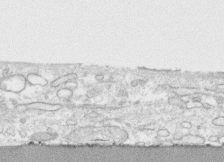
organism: Human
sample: CRL-1474